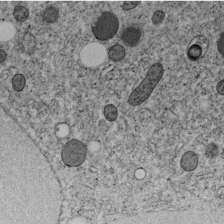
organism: C. elegans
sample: C. elegans embryo early stage